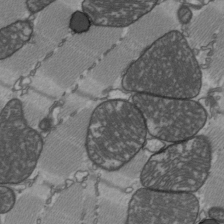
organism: C57BL Mouse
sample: Heart